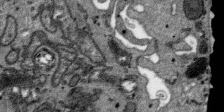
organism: Human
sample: Lung epithelial cells, uninfected (mock) control